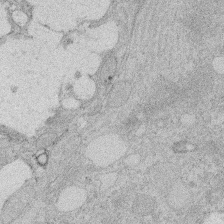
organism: Rat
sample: Salivary granule